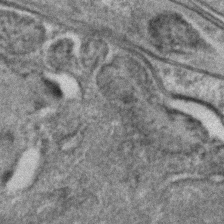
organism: C. elegans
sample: C. elegans embryo